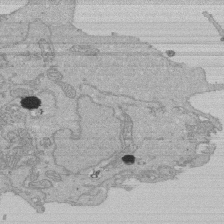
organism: Human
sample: Activated Jurkat CD4+ T cells